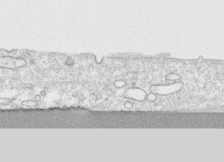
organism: Human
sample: CRL-1474